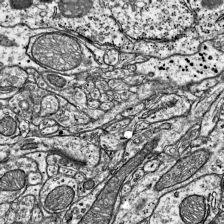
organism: Mouse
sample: Visual Cortex